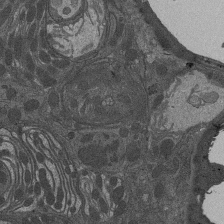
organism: Drosophila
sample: Antenna